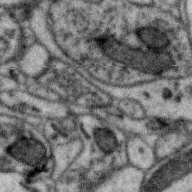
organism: Zebra finch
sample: Brain